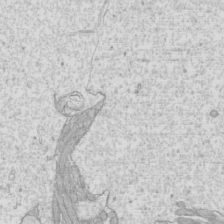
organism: Mouse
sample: Cilia; mouse epididymis